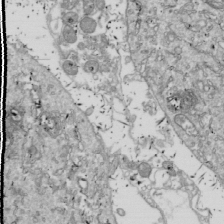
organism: Drosophila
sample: Cell division; meiosis; drosophila spermatocytes